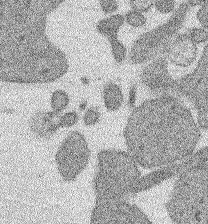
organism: Human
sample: HeLa cells